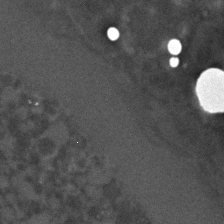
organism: C. elegans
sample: C. elegans embryo